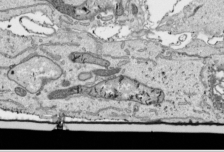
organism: Human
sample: Mitochondria in HCT116 cells